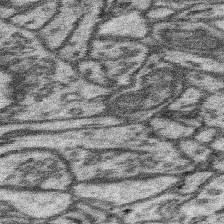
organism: Mouse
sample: Somatosensory cortex neuropil